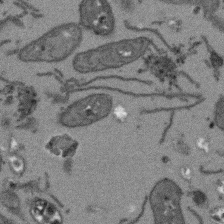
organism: Arabidopsis thaliana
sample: Root tip